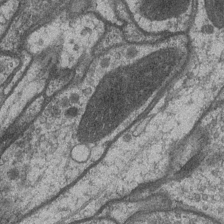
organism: Drosophila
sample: Optic medulla